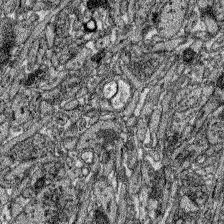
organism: Zebrafish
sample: Larval olfactory bulb